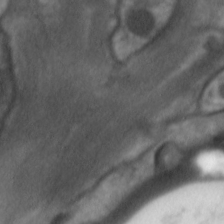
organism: C. elegans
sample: Pharynx